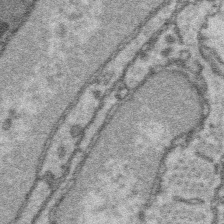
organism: Platynereis dumerilii